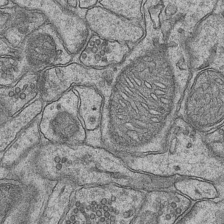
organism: Mouse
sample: CA1 Hippocampus